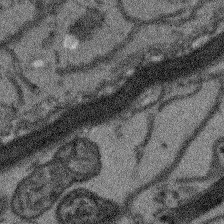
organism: Arabidopsis thaliana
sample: Root tip